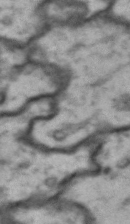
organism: Drosophila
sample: Brain